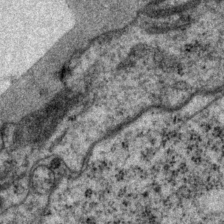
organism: P. pacificus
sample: Pharynx